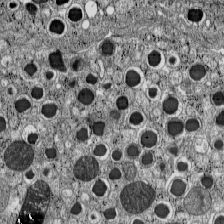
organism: C57BL Mouse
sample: Pancreatic islet